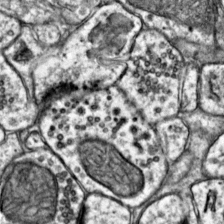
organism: Mouse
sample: Primary visual cortex